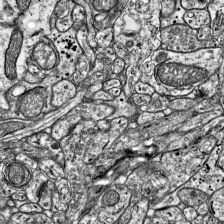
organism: Mouse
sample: Visual Cortex